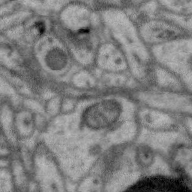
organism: Zebra finch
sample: Brain